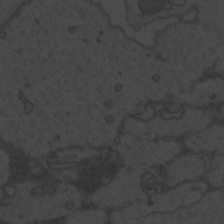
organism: Zebrafish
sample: Macrophage infected with Toxoplasma gondii